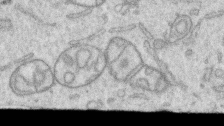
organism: Human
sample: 1205lu cells